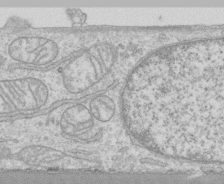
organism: Human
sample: CRL-1474